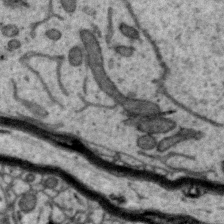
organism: Zebra finch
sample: Brain